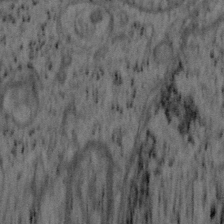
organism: Human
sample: HeLa cells